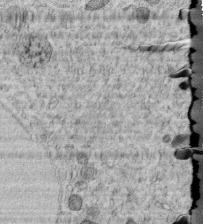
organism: C. elegans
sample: C. elegans embryo early stage